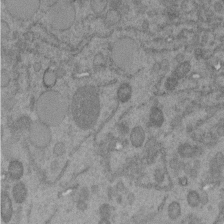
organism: C. elegans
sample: C. elegans embryo early stage